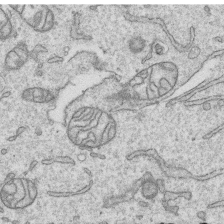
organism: Human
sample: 1205lu cells